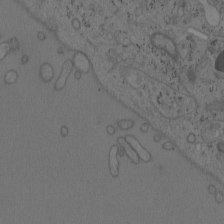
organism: Mouse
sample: OT-I killer T cells with ID8 ovarian cancer cells